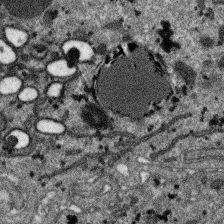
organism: Human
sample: Lung epithelial cells infected with SARS-CoV-2